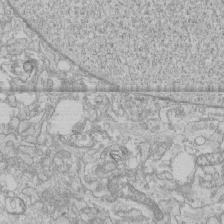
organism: Human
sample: CRL-1474